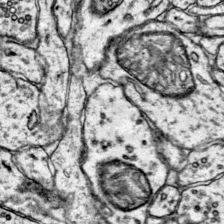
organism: Mouse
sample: Primary visual cortex